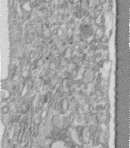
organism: Human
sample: Centriole in fibroblast cells